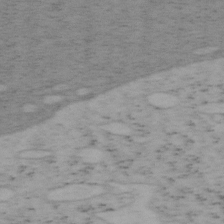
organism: Mouse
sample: OT-I killer T cells with ID8 ovarian cancer cells